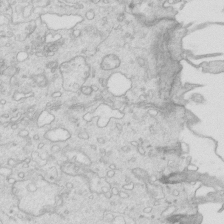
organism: Mouse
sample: Multiciliated cells